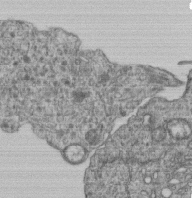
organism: Human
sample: Retinal organoid Rod and Cone cells